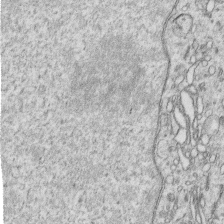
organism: Human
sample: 1205lu cells